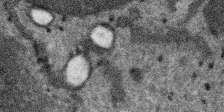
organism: Human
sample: Lung epithelial cells infected with SARS-CoV-2